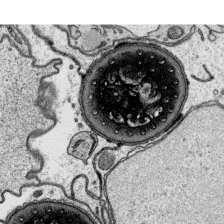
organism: Platynereis dumerilii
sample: Parapodia